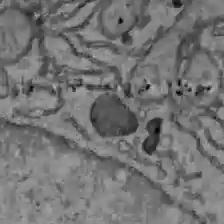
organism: C57BL Mouse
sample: Liver